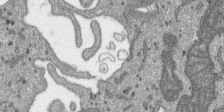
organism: Human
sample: Lung epithelial cells infected with SARS-CoV-2